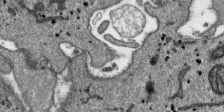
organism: Human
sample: Lung epithelial cells, uninfected (mock) control